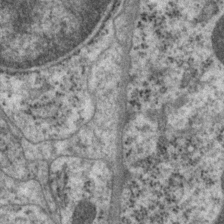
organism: P. pacificus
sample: Pharynx